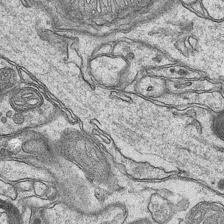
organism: Mouse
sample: CA1 Hippocampus